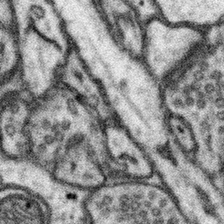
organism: Mouse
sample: Somatosensory cortex neuropil